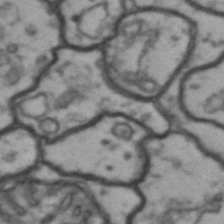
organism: Drosophila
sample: Brain